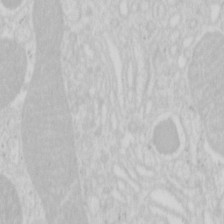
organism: Mouse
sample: Pancreas